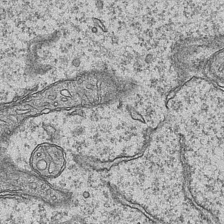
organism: Mouse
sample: CA1 Hippocampus